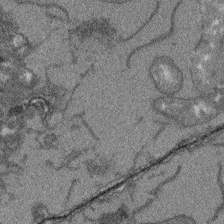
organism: Arabidopsis thaliana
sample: Root tip